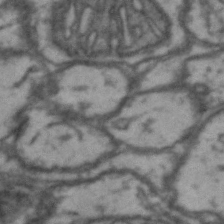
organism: Drosophila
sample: Brain